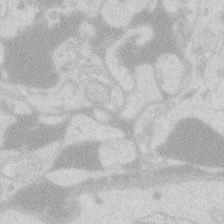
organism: Zebrafish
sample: Macrophage